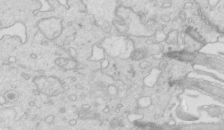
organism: Mouse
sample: Multiciliated cells